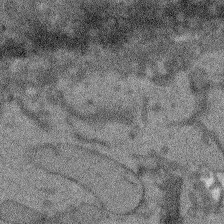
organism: Arabidopsis thaliana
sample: Root tip